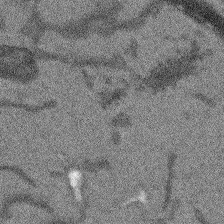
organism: Arabidopsis thaliana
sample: Root tip